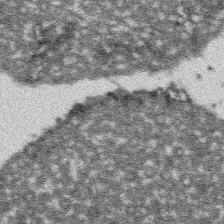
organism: Platynereis dumerilii